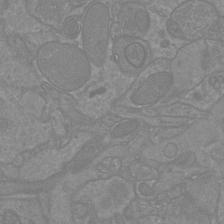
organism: Mouse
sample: Cortical neurons